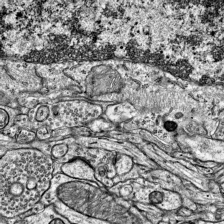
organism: Mouse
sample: Visual Cortex